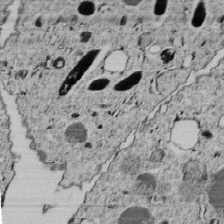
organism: C. elegans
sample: C. elegans embryo early stage